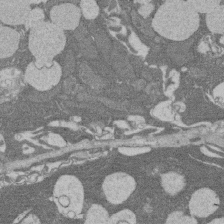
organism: Rat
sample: Salivary granule